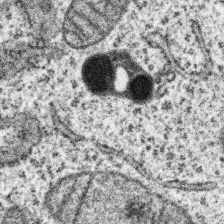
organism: Human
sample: HeLa cells